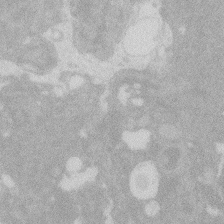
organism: Zebrafish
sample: Macrophage